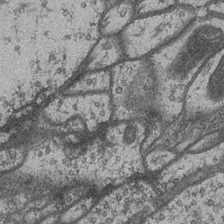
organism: Drosophila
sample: Optic medulla